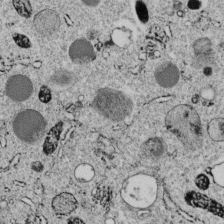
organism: C. elegans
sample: C. elegans embryo early stage